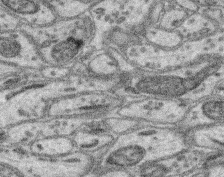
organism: Mouse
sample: Retina